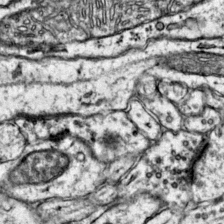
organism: Mouse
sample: Primary visual cortex